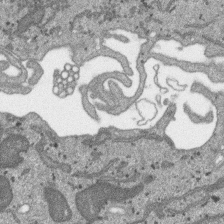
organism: Human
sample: Lung epithelial cells infected with SARS-CoV-2